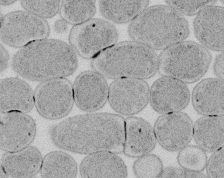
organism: E. coli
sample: Bacterial nucleoid